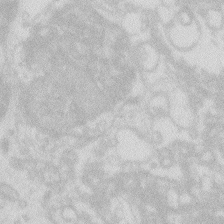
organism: Zebrafish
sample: Macrophage